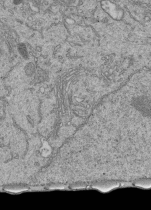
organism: Human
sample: Retinal organoid Rod and Cone cells